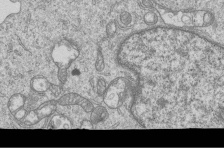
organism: Human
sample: MDA-MB-231 cells